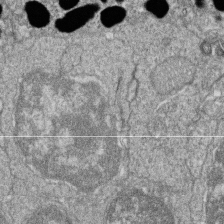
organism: Zebrafish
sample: Cilia; retinal pigment epithelium